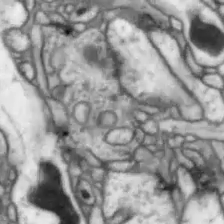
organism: Drosophila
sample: Optic lobe